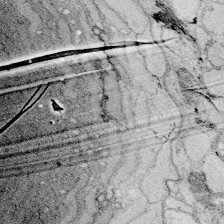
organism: Zebrafish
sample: Whole-Brain